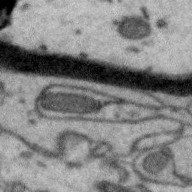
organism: Zebra finch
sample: Brain